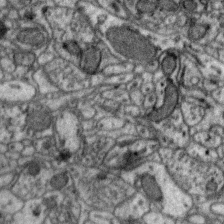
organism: Zebra finch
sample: Brain